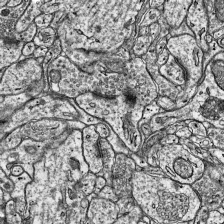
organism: Mouse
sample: Visual Cortex